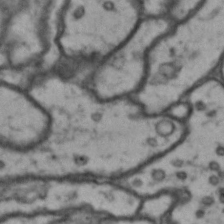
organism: Drosophila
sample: Brain